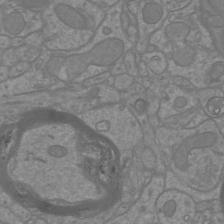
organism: Mouse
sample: Cortical neurons